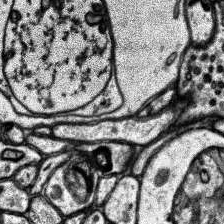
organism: Human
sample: Temporal Lobe